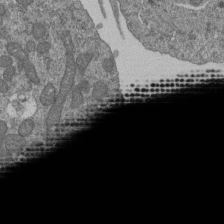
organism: Human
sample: Retinal organoid Rod and Cone cells